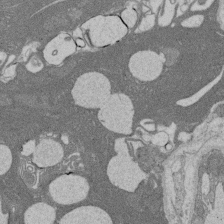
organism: Rat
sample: Salivary granule